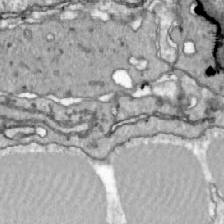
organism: Zebrafish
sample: Actinotrichia fibers